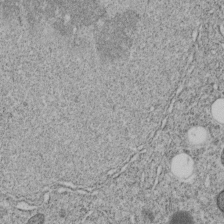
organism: C. elegans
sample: C. elegans embryo early stage